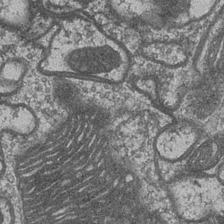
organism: Drosophila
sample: Optic medulla